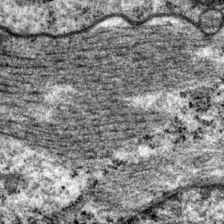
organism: P. pacificus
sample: Pharynx